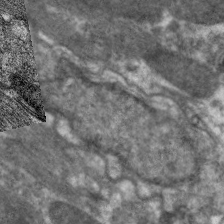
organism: C. elegans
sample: Pharynx